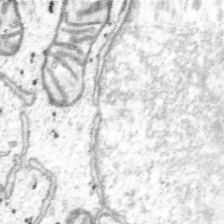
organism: Human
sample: HeLa cells